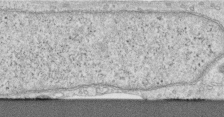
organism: Human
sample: Centriole in RPE cells